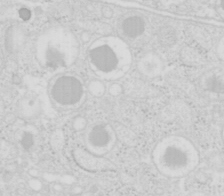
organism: Mouse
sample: Pancreas